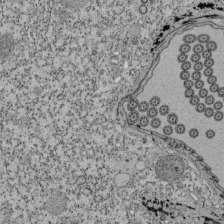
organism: Tetrahymena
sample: Cilia in tetrahymena